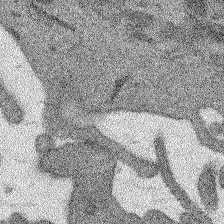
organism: Human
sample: HeLa cells